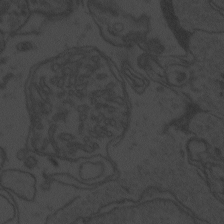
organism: Zebrafish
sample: Macrophage infected with Toxoplasma gondii